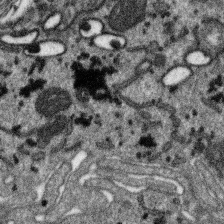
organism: Human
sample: Lung epithelial cells infected with SARS-CoV-2